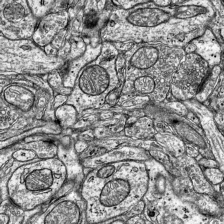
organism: Mouse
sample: Visual Cortex